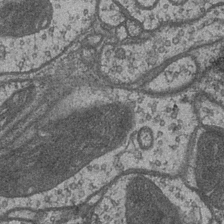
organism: Drosophila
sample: Optic medulla